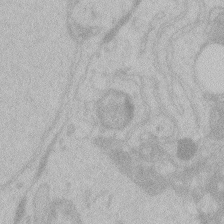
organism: Zebrafish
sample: Macrophage infected with Toxoplasma gondii